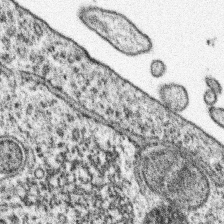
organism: Human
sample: HeLa cells